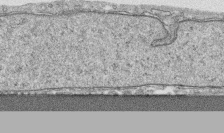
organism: Human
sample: CRL-1474